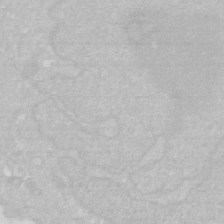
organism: Human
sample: HIV infected U937 cells